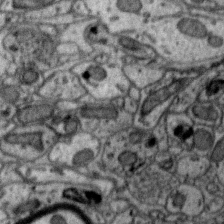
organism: Zebra finch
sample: Brain